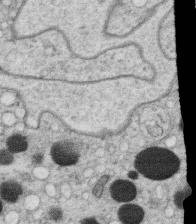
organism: C. elegans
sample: C. elegans oocyte; sperm cells